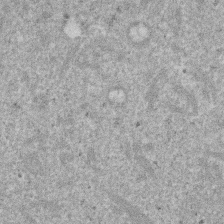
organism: Mouse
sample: Dividing mouse embryo 1 cell stage